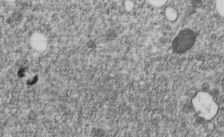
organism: C. elegans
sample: C. elegans embryo early stage